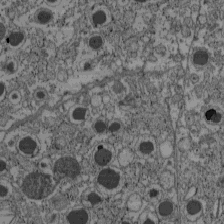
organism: C57BL Mouse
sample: Pancreatic islet